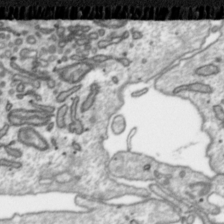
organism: Toxoplasma gondii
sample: Parasites in a vacuole inside a host cell